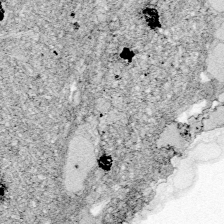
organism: Zebrafish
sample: Whole-Brain